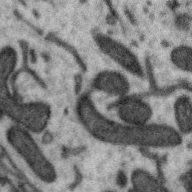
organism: Zebra finch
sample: Brain